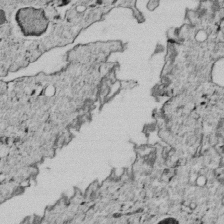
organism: C. elegans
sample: C. elegans embryo early stage